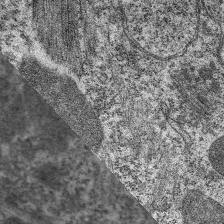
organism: C. elegans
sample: Pharynx